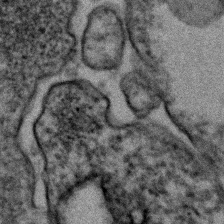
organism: Human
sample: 1205lu cells